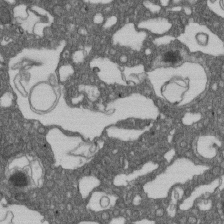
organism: Drosophila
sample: Nephrocyte